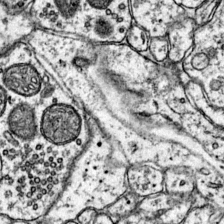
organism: Mouse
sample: Primary visual cortex